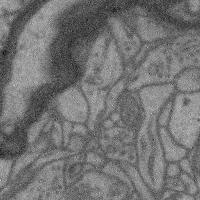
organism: Mouse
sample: Cerebral cortex